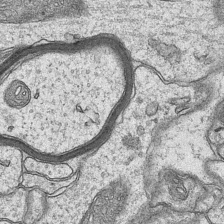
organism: Mouse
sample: CA1 Hippocampus